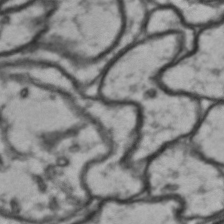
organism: Drosophila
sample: Brain